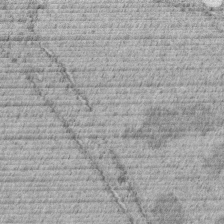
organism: C. elegans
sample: C. elegans embryo early stage